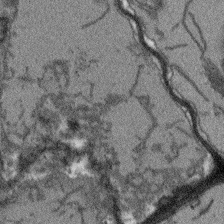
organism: Arabidopsis thaliana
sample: Root tip